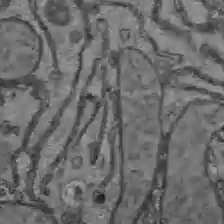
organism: C57BL Mouse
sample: Liver